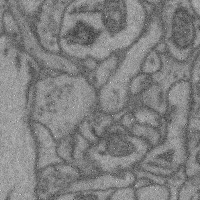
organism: Mouse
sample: Cerebral cortex